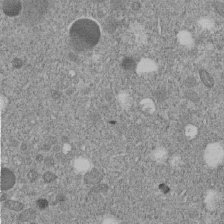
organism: C. elegans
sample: C. elegans embryo early stage